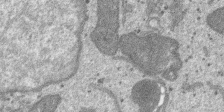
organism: Human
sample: Lung epithelial cells infected with SARS-CoV-2